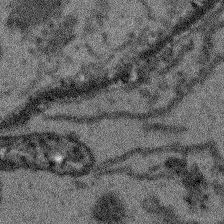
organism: Arabidopsis thaliana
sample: Root tip